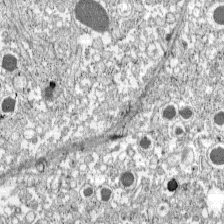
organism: C57BL Mouse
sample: Pancreatic islet